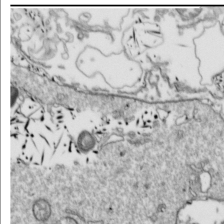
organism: Drosophila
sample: Cell division; meiosis; drosophila spermatocytes